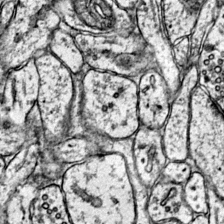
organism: Mouse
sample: Primary visual cortex